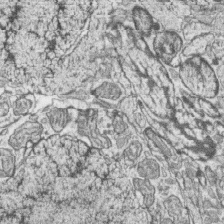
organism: Zebrafish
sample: synaptic ribbons in rod cells and cone cells